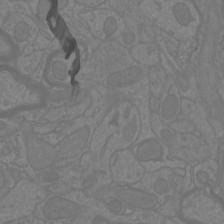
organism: Mouse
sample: Cortical neurons